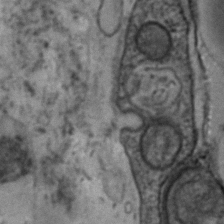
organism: Human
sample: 1205lu cells